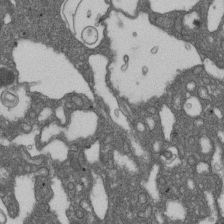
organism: Drosophila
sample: Nephrocyte